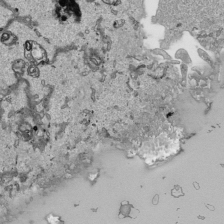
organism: Human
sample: Mitochondria in HCT116 cells